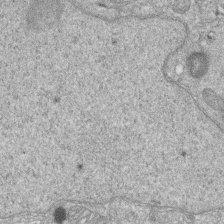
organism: Human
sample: HeLa cell HIV synapse